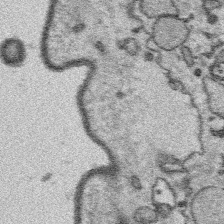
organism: Platynereis dumerilii